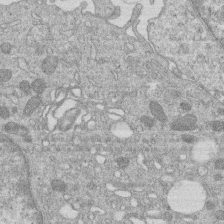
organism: Human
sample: Macrophage cells